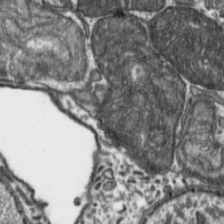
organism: Toxoplasma gondii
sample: Parasites in a vacuole inside a host cell